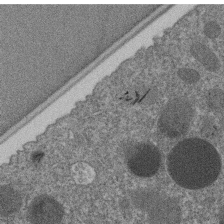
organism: C. elegans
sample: C. elegans embryo early stage